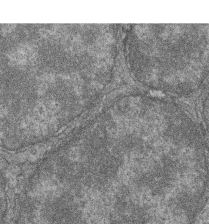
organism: Zebrafish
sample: Cilia; retinal pigment epithelium